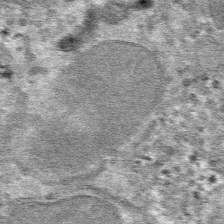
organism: Mouse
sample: Mouse hepatocytes